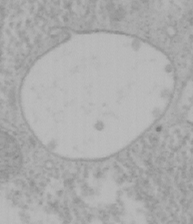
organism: Mouse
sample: OT-I killer T cells with ID8 ovarian cancer cells